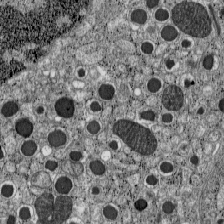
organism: C57BL Mouse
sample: Pancreatic islet